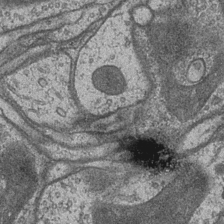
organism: Drosophila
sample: Optic medulla